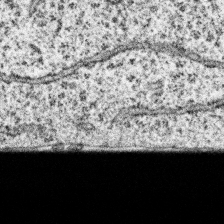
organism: Human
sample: HeLa cells